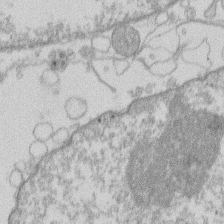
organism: Human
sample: Macrophage cells